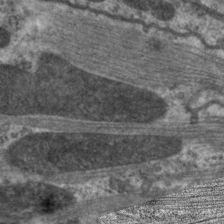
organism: C. elegans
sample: Pharynx